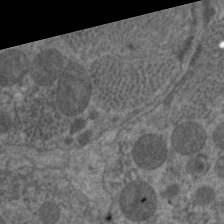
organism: C. elegans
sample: Pharynx